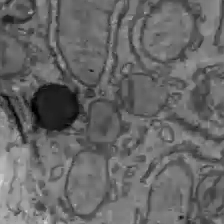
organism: C57BL Mouse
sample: Liver